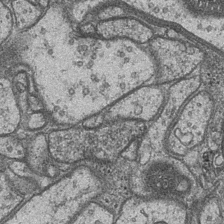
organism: Drosophila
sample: Optic medulla